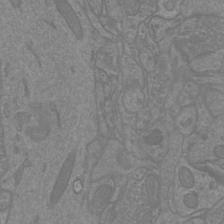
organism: Mouse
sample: Cortical neurons